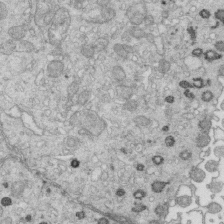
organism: Mouse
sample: Multiciliated cells